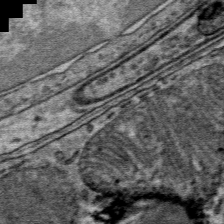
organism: Mouse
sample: Mouse Salivary gland